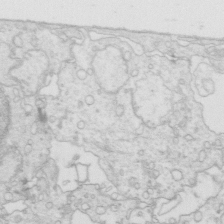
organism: Mouse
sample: Multiciliated cells